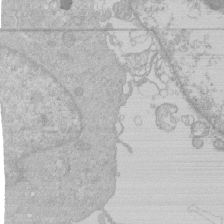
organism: Human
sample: Macrophage cells